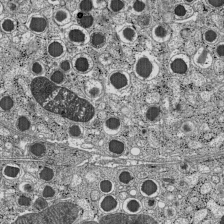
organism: C57BL Mouse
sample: Pancreatic islet